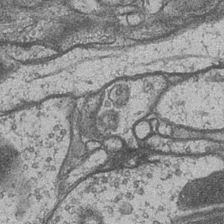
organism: Drosophila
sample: Optic medulla